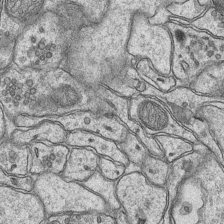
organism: Mouse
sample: CA1 Hippocampus